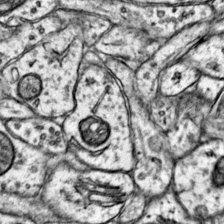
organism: Mouse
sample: Primary visual cortex